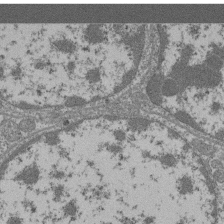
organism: Mouse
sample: Glomerulus